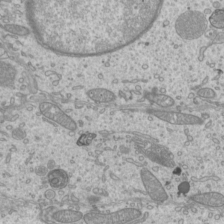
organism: Mouse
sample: Cilia; mouse epididymis